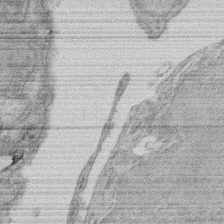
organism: Rat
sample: Salivary granule